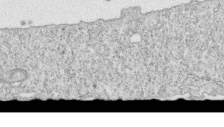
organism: Human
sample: HeLa cell HIV synapse